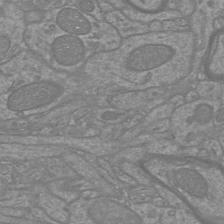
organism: Mouse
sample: Cortical neurons